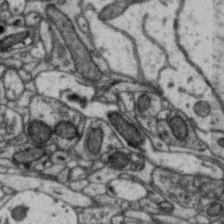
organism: Zebra finch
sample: Brain